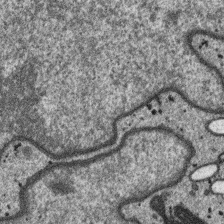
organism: Human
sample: Lung epithelial cells infected with SARS-CoV-2